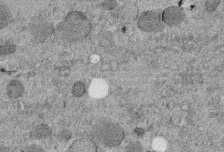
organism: C. elegans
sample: C. elegans embryo early stage